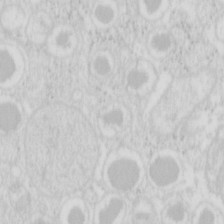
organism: Mouse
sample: Pancreas